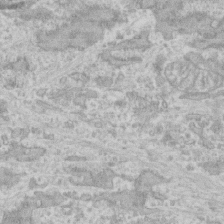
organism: Human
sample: CRL-1474